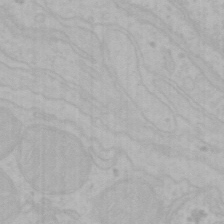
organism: Mouse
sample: Choroid plexus